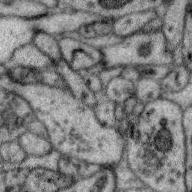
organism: Zebra finch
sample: Brain